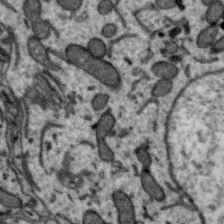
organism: Zebra finch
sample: Brain